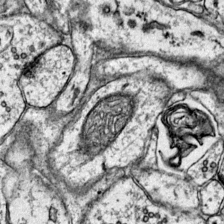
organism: Mouse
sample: Primary visual cortex